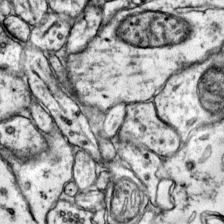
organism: Mouse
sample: Primary visual cortex